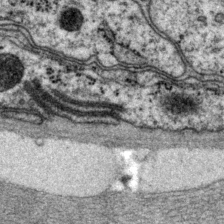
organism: P. pacificus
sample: Pharynx